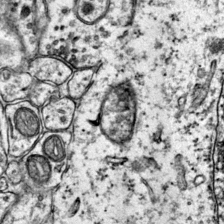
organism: Mouse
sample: Primary visual cortex